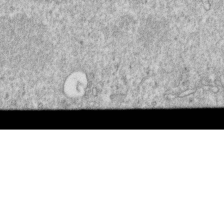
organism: Mouse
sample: Activated OT-1 CD8+ T cells